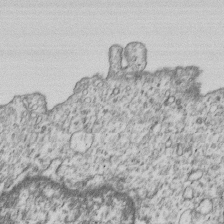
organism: Human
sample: MDA-MB-231 cells